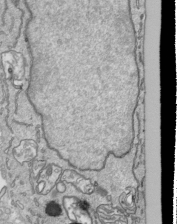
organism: Human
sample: Mitochondria in HCT116 cells